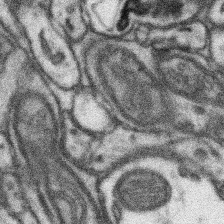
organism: Mouse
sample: Somatosensory cortex neuropil